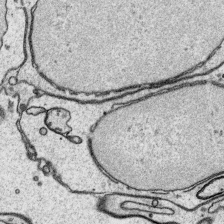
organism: Platynereis dumerilii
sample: Parapodia